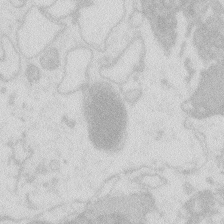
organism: Zebrafish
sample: Macrophage